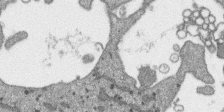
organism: Human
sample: Lung epithelial cells infected with SARS-CoV-2